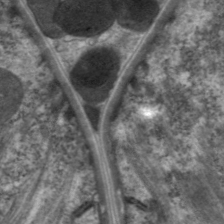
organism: C. elegans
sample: Pharynx